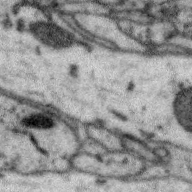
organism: Zebra finch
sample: Brain